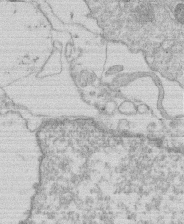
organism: Human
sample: Macrophage cells